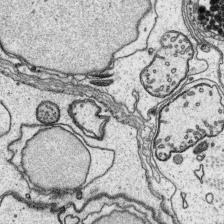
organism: Platynereis dumerilii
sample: Parapodia